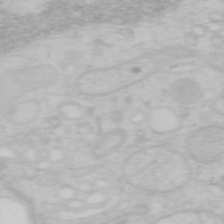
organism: Mouse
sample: OT-I killer T cells with ID8 ovarian cancer cells